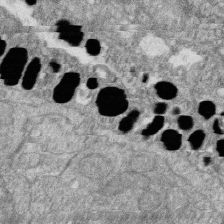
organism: Zebrafish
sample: Cilia; retinal pigment epithelium